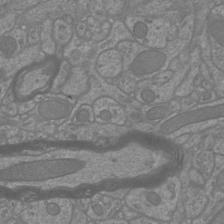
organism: Mouse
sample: Cortical neurons